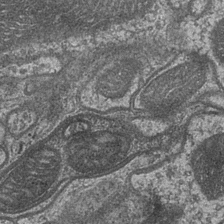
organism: Drosophila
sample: Optic medulla